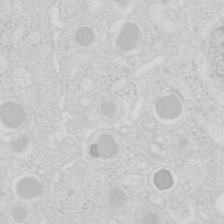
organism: Mouse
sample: Pancreas